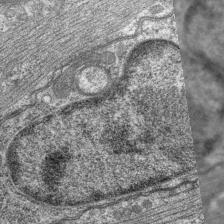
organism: C. elegans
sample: Pharynx